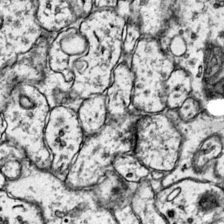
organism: Mouse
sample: Primary visual cortex